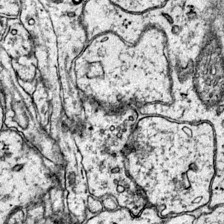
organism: Mouse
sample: Primary visual cortex